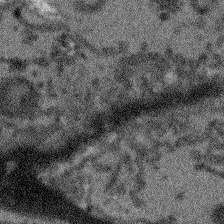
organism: Arabidopsis thaliana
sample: Root tip